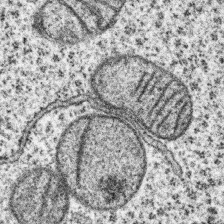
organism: Human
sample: HeLa cells